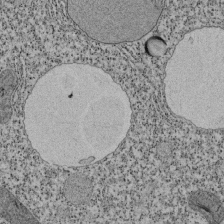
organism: Tetrahymena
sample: Cilia in tetrahymena